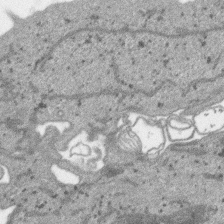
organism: Human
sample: Lung epithelial cells infected with SARS-CoV-2